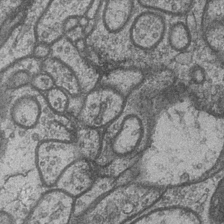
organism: Drosophila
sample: Optic medulla